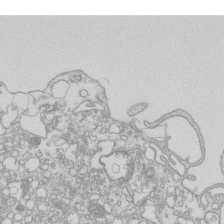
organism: Mouse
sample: Macrophages